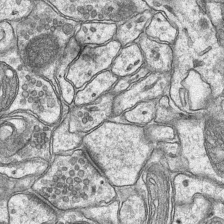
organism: Mouse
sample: CA1 Hippocampus